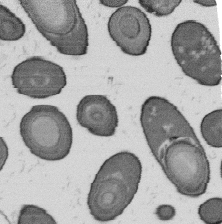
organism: B. subtilis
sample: Bacterial spore